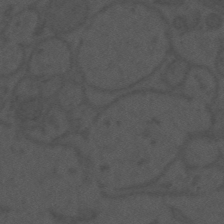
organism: Mouse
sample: Suprachiasmatic nucleus